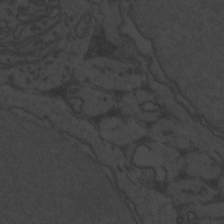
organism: Zebrafish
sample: Macrophage infected with Toxoplasma gondii